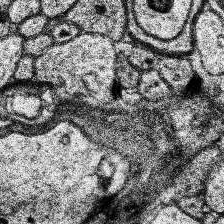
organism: Human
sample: Temporal Lobe